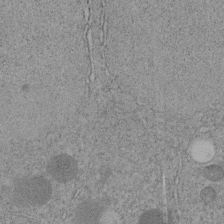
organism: C. elegans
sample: C. elegans embryo early stage